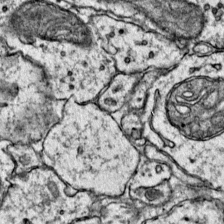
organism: Mouse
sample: Primary visual cortex